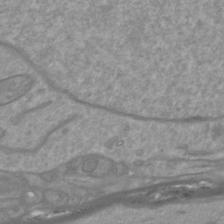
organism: Mouse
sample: Cortical neurons